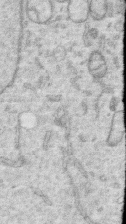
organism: Human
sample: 1205lu cells